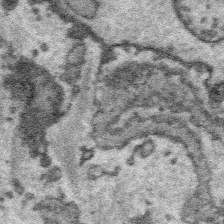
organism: Platynereis dumerilii